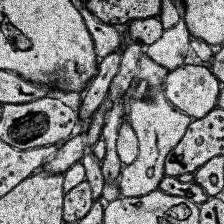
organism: Human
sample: Temporal Lobe